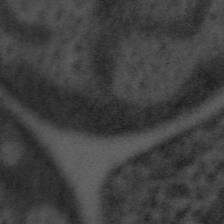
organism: Tuwongella immobilis